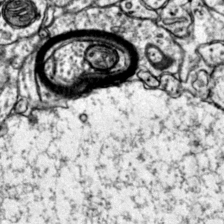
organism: Mouse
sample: Primary visual cortex